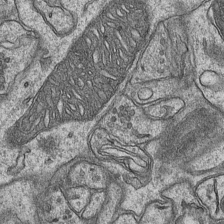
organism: Mouse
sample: CA1 Hippocampus